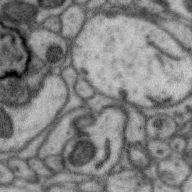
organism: Zebra finch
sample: Brain